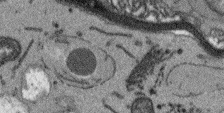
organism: Arabidopsis thaliana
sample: Root tip